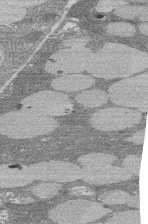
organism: Rat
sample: Salivary granule